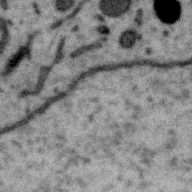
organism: Zebra finch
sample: Brain